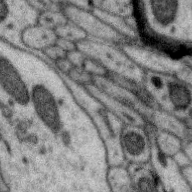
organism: Zebra finch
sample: Brain